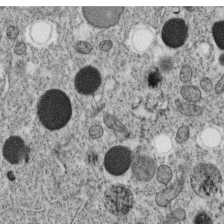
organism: C. elegans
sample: C. elegans oocyte; sperm cells